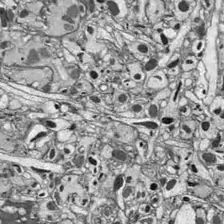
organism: Drosophila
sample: Optic lobe